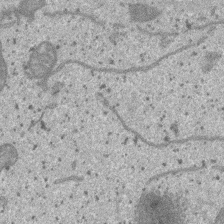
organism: Human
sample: Lung epithelial cells infected with SARS-CoV-2